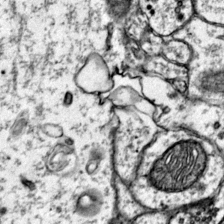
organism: Mouse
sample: Primary visual cortex